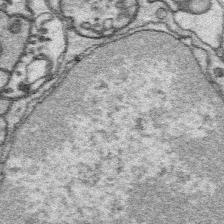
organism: Platynereis dumerilii